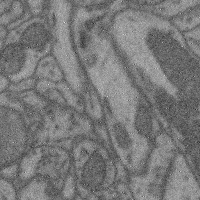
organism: Mouse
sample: Cerebral cortex